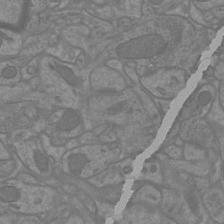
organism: Mouse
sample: Cortical neurons